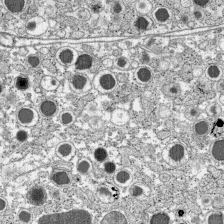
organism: C57BL Mouse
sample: Pancreatic islet